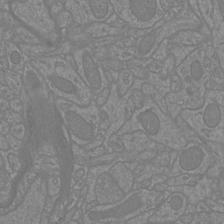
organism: Mouse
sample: Cortical neurons